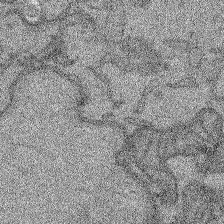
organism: Human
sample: HeLa cells